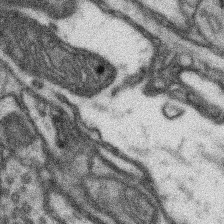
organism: Mouse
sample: Somatosensory cortex neuropil